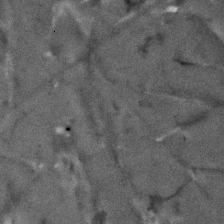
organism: Human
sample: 1205lu cells